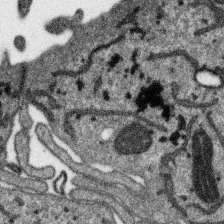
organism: Human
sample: Lung epithelial cells infected with SARS-CoV-2